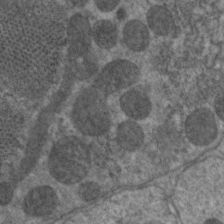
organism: C. elegans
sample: Pharynx